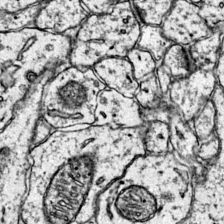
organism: Mouse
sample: Primary visual cortex